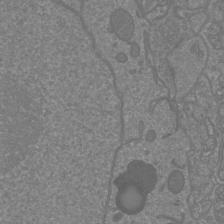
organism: Mouse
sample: Cortical neurons